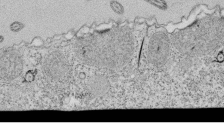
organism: Tetrahymena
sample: Cilia in tetrahymena